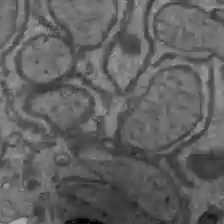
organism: C57BL Mouse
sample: Liver